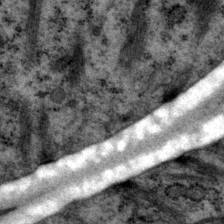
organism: P. pacificus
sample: Pharynx